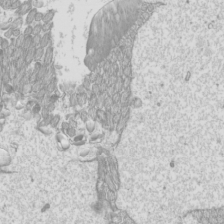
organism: Mouse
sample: Cilia; mouse epididymis